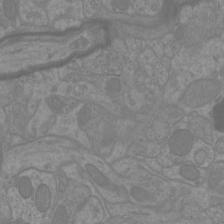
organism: Mouse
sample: Cortical neurons